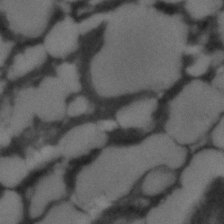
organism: C. elegans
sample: C. elegans embryo